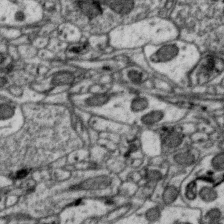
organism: Zebra finch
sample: Brain